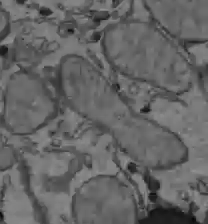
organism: C57BL Mouse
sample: Liver